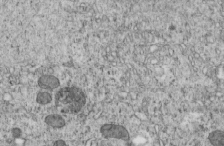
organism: C. elegans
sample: C. elegans embryo early stage